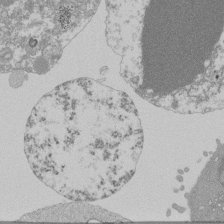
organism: Mouse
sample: Activated Pmel transgenic CD8+ T Cells